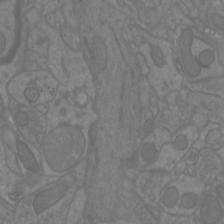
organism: Mouse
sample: Cortical neurons